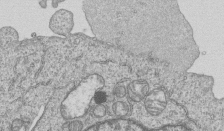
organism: Human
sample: MDA-MB-231 cells